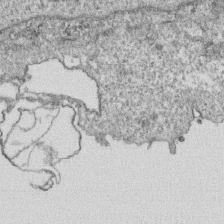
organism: Human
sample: HeLa cell HIV synapse